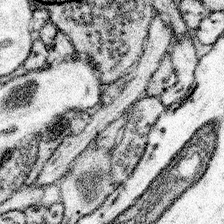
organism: Mouse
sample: Somatosensory cortex neuropil